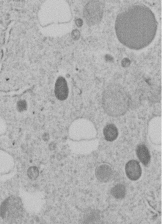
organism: C. elegans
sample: C. elegans embryo early stage